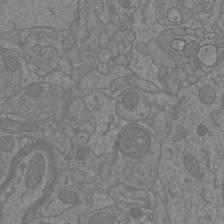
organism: Mouse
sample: Cortical neurons